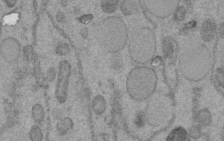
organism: C. elegans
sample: C. elegans embryo early stage